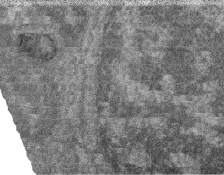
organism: Zebrafish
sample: Cilia; retinal pigment epithelium